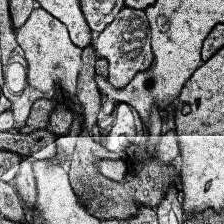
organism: Human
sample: Temporal Lobe